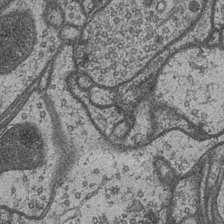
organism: Drosophila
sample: Optic medulla